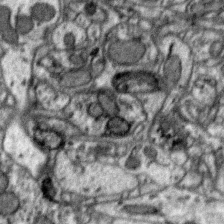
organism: Zebra finch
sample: Brain